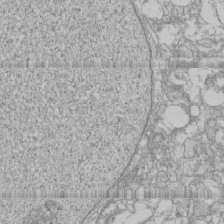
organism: Human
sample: CRL-1474